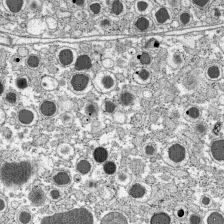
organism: C57BL Mouse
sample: Pancreatic islet